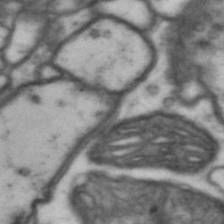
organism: Drosophila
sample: Brain